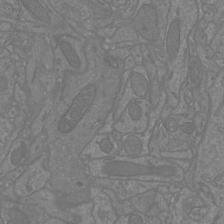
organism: Mouse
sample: Cortical neurons